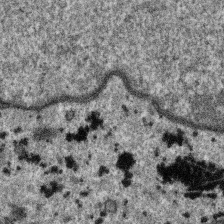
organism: Human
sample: Lung epithelial cells infected with SARS-CoV-2